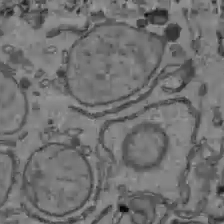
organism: C57BL Mouse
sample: Liver